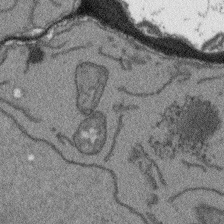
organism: Arabidopsis thaliana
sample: Root tip